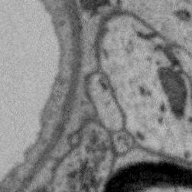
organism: Zebra finch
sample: Brain